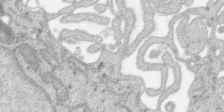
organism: Human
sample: Lung epithelial cells infected with SARS-CoV-2